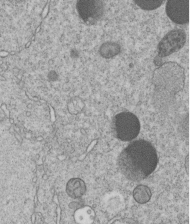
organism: C. elegans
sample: C. elegans embryo early stage